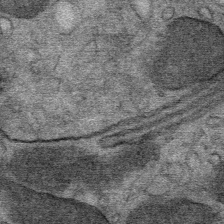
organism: Mouse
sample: Mouse Salivary gland